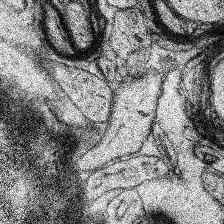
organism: Human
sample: Temporal Lobe